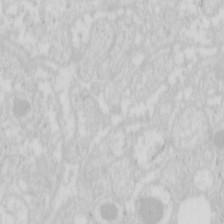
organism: Mouse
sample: Pancreas